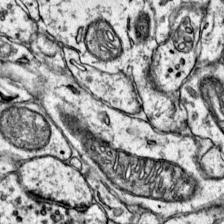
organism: Mouse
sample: Primary visual cortex